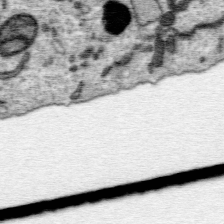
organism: Human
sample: HeLa cells